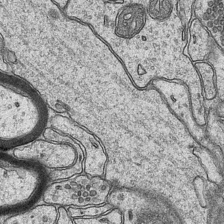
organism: Mouse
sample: CA1 Hippocampus